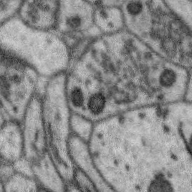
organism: Zebra finch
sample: Brain